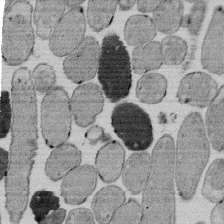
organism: E. coli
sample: Bacterial nucleoid